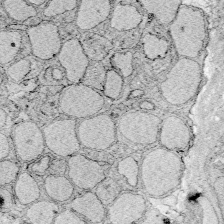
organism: Zebrafish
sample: Whole-Brain